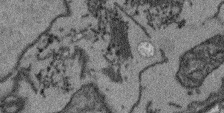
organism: Arabidopsis thaliana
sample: Root tip